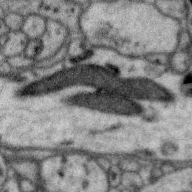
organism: Zebra finch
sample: Brain